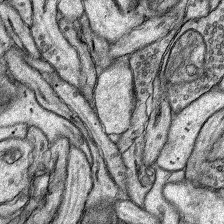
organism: Rat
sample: Hippocampus